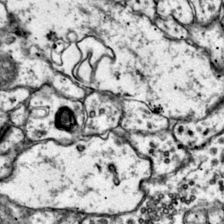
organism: Mouse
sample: Primary visual cortex